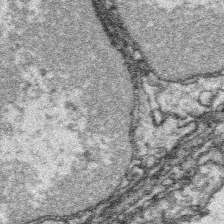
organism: Platynereis dumerilii